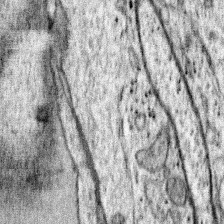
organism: Human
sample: HeLa cells